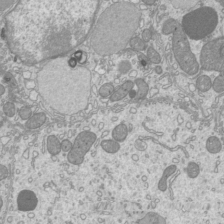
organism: Mouse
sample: Cilia; mouse epididymis